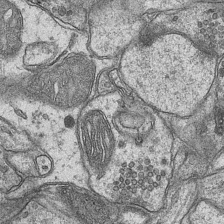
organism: Mouse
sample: CA1 Hippocampus